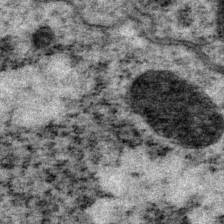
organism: P. pacificus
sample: Pharynx